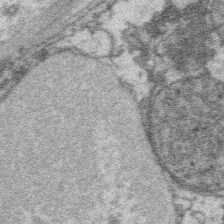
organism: Platynereis dumerilii